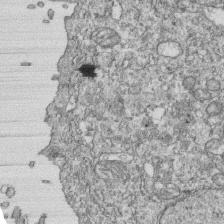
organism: Human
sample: HeLa cell HIV synapse